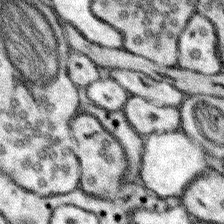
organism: Mouse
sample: Somatosensory cortex neuropil